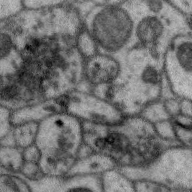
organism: Zebra finch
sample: Brain